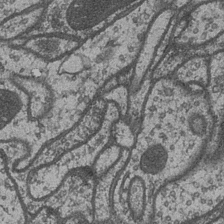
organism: Drosophila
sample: Optic medulla